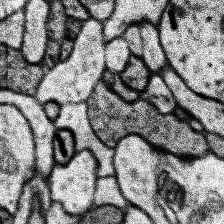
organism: Human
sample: Temporal Lobe